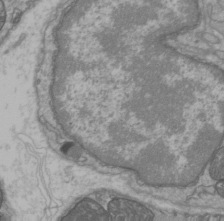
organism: C57BL Mouse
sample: Heart